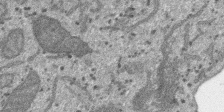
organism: Human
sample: Lung epithelial cells infected with SARS-CoV-2